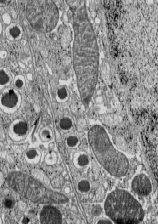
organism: C57BL Mouse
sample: Pancreatic islet